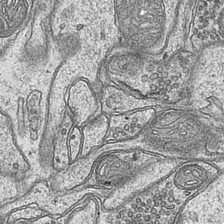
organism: Mouse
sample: CA1 Hippocampus